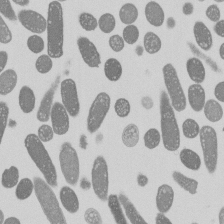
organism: E. coli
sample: Bacterial nucleoid